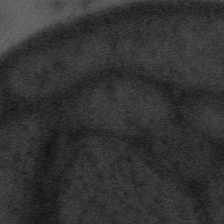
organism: Tuwongella immobilis